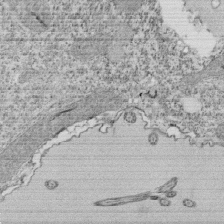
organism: Tetrahymena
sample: Cilia in tetrahymena